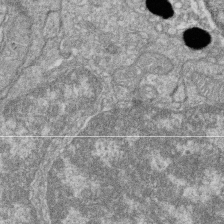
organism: Zebrafish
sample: Cilia; retinal pigment epithelium